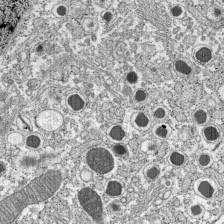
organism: C57BL Mouse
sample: Pancreatic islet